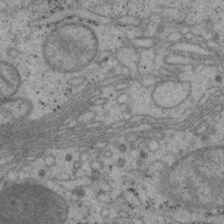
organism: Human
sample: HeLa cells